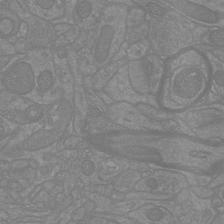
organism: Mouse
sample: Cortical neurons